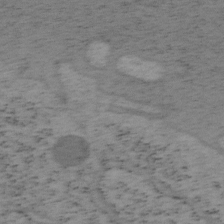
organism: Mouse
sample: OT-I killer T cells with ID8 ovarian cancer cells